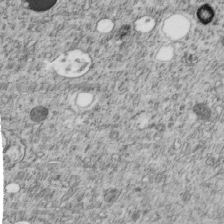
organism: C. elegans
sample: C. elegans embryo early stage